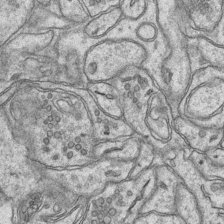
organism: Mouse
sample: CA1 Hippocampus